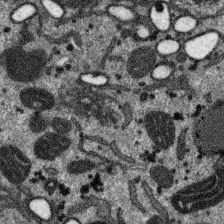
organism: Human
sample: Lung epithelial cells infected with SARS-CoV-2